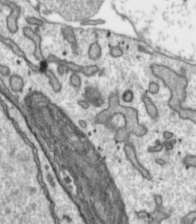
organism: Toxoplasma gondii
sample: Parasites in a vacuole inside a host cell